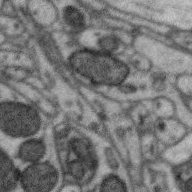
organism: Zebra finch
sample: Brain